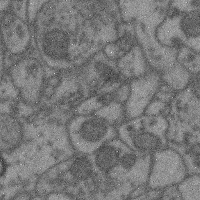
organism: Mouse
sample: Cerebral cortex